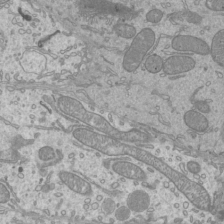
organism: Mouse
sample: Cilia; mouse epididymis